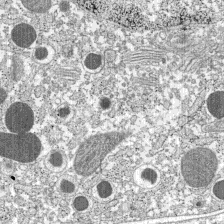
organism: C57BL Mouse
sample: Pancreatic islet